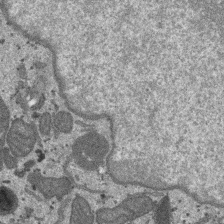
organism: Human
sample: Lung epithelial cells infected with SARS-CoV-2